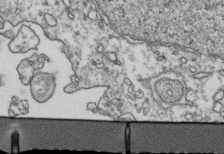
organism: Human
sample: Activated Jurkat CD4+ T cells